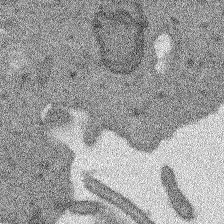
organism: Human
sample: HeLa cells